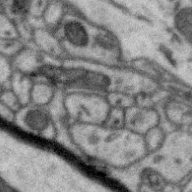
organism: Zebra finch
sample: Brain